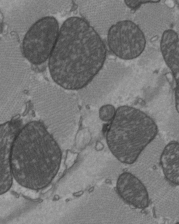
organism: C57BL Mouse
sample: Heart